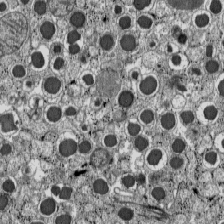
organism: C57BL Mouse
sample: Pancreatic islet